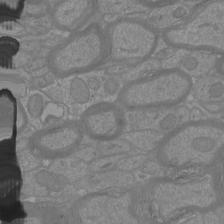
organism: Mouse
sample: Cortical neurons